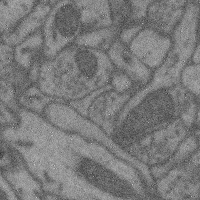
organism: Mouse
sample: Cerebral cortex